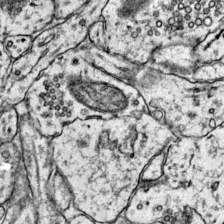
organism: Mouse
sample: Primary visual cortex